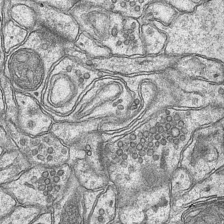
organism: Mouse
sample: CA1 Hippocampus